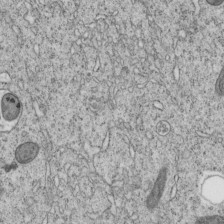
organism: C. elegans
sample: C. elegans embryo early stage